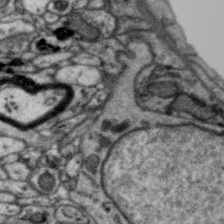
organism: Zebra finch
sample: Brain